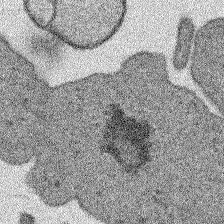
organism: Human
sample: HeLa cells